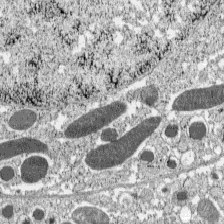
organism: C57BL Mouse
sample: Pancreatic islet